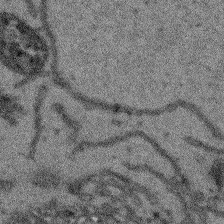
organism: Arabidopsis thaliana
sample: Root tip